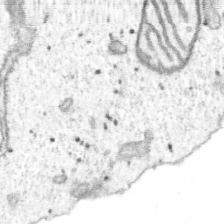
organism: Human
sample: HeLa cells